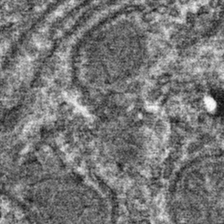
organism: Mouse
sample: Mouse hepatocytes